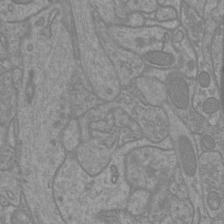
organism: Mouse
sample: Cortical neurons